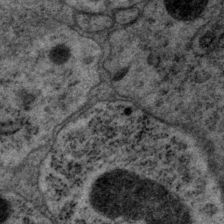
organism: P. pacificus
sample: Pharynx